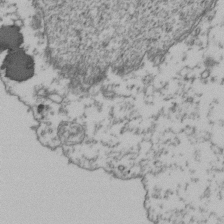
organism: Human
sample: Activated Jurkat CD4+ T cells